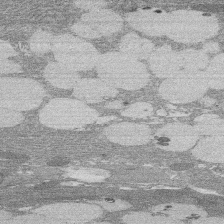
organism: Rat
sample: Salivary granule